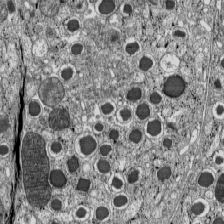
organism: C57BL Mouse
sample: Pancreatic islet